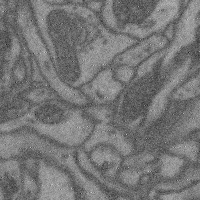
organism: Mouse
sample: Cerebral cortex